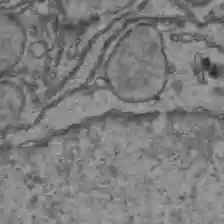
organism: C57BL Mouse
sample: Liver